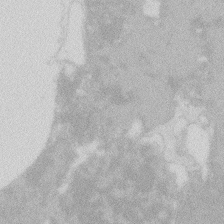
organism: Zebrafish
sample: Macrophage